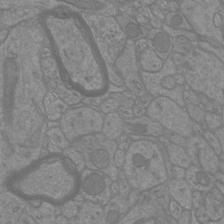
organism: Mouse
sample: Cortical neurons